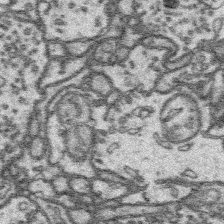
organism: Platynereis dumerilii